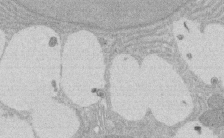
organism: Rat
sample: Salivary granule